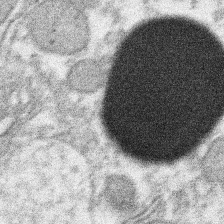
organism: Xenopus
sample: Cilia; centrioles in frog embryo cells